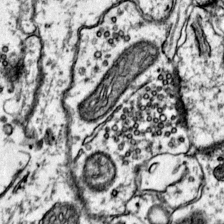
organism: Mouse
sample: Primary visual cortex